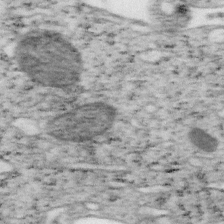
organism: Mouse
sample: OT-I killer T cells with ID8 ovarian cancer cells